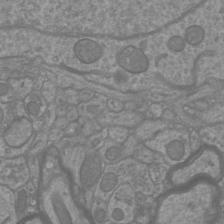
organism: Mouse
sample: Cortical neurons